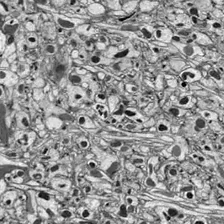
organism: Drosophila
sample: Optic lobe